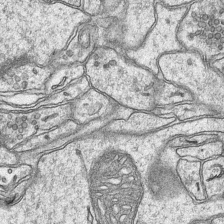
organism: Mouse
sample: CA1 Hippocampus